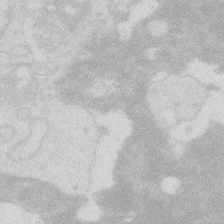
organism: Zebrafish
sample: Macrophage